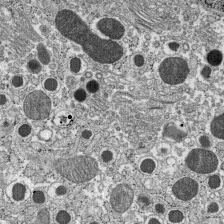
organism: C57BL Mouse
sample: Pancreatic islet